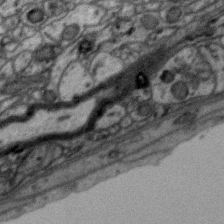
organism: Zebra finch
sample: Brain